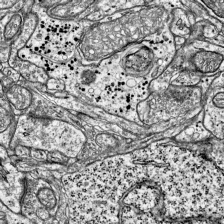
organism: Mouse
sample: Visual Cortex